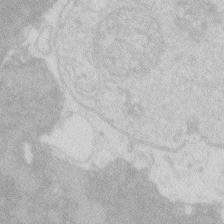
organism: Zebrafish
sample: Macrophage